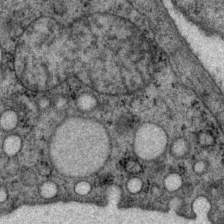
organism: P. pacificus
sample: Pharynx